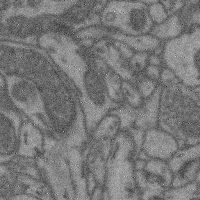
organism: Mouse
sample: Cerebral cortex